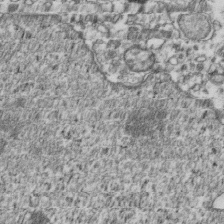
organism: Human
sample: Activated Jurkat CD4+ T cells